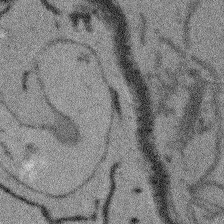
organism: Arabidopsis thaliana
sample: Root tip